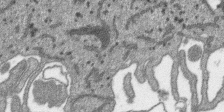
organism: Human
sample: Lung epithelial cells infected with SARS-CoV-2